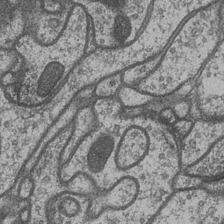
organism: Drosophila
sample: Optic medulla